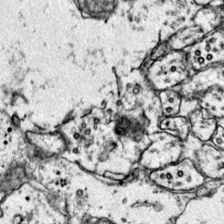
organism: Mouse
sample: Primary visual cortex